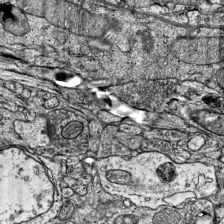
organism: Mouse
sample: Visual Cortex